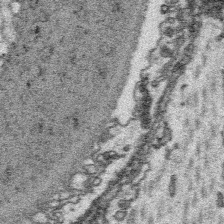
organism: Platynereis dumerilii